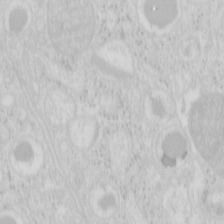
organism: Mouse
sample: Pancreas